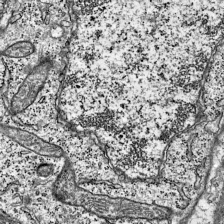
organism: Mouse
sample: Visual Cortex